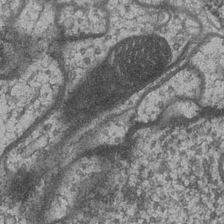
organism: Drosophila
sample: Optic medulla